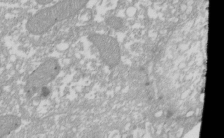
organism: Xenopus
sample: Cilia; centrioles in frog embryo cells